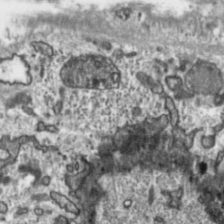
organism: Toxoplasma gondii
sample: Parasites in a vacuole inside a host cell